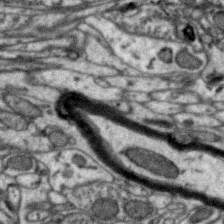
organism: Zebra finch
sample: Brain